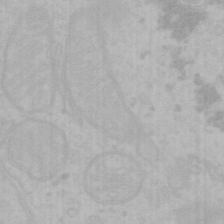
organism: Mouse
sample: Choroid plexus